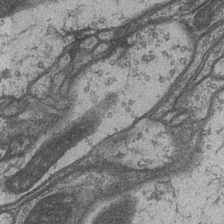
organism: Drosophila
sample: Optic medulla